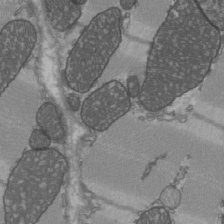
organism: C57BL Mouse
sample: Heart